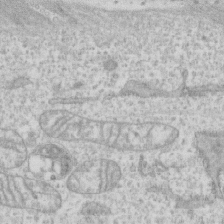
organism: Human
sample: CRL-1474